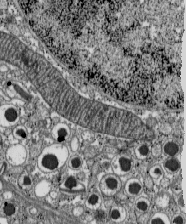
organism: C57BL Mouse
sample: Pancreatic islet